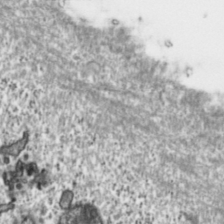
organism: Toxoplasma gondii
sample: Parasites in a vacuole inside a host cell